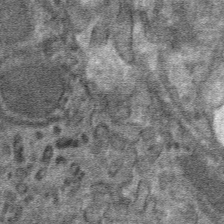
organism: Mouse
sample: Mouse hepatocytes